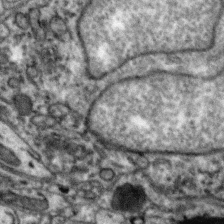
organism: Zebra finch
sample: Brain